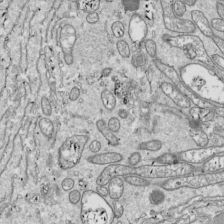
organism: Drosophila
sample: Cell division; meiosis; drosophila spermatocytes